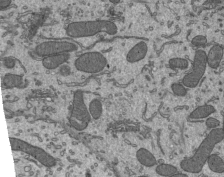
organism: Mouse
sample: Mouse epididymis efferent ductule cilia